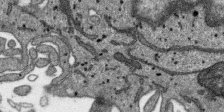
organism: Human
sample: Lung epithelial cells, uninfected (mock) control